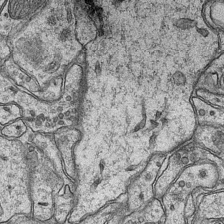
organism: Mouse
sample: CA1 Hippocampus